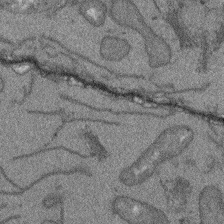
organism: Arabidopsis thaliana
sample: Root tip